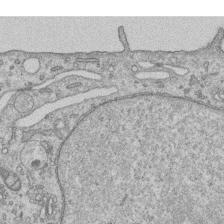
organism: Human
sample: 1205lu cells